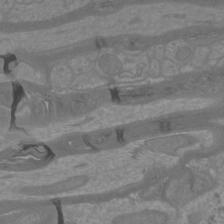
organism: Mouse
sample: Cortical neurons